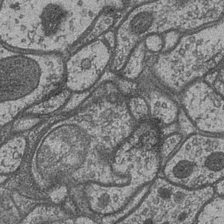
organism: Drosophila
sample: Optic medulla